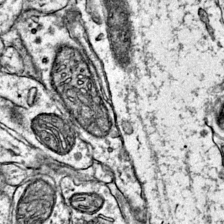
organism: Mouse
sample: Primary visual cortex